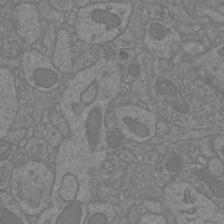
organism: Mouse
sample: Cortical neurons